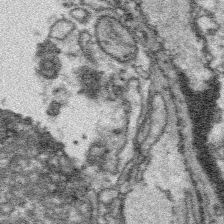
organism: Platynereis dumerilii